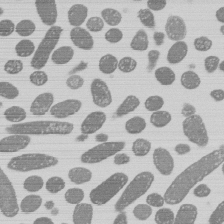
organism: E. coli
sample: Bacterial nucleoid